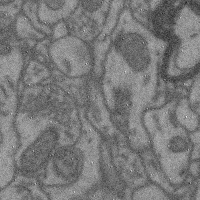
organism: Mouse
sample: Cerebral cortex